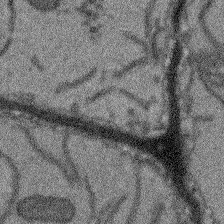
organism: Arabidopsis thaliana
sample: Root tip